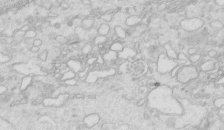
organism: Mouse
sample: Multiciliated cells